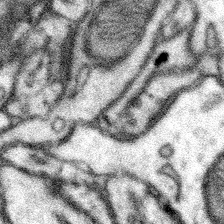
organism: Mouse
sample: Somatosensory cortex neuropil